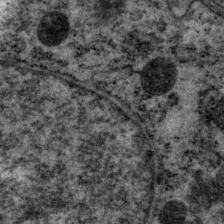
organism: P. pacificus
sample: Pharynx